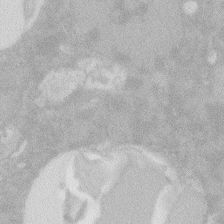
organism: Zebrafish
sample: Macrophage